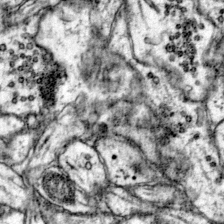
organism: Mouse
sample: Primary visual cortex